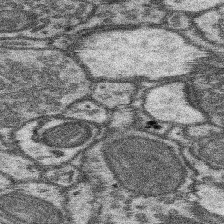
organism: Mouse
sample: Somatosensory cortex neuropil